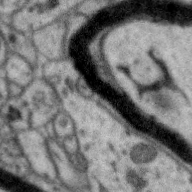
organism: Zebra finch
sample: Brain